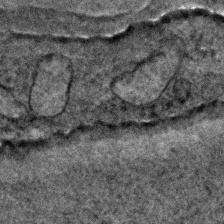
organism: C. elegans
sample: C. elegans embryo